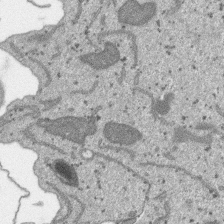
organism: Human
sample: Lung epithelial cells infected with SARS-CoV-2